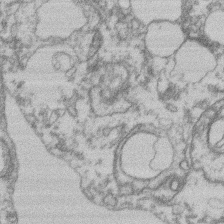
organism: Mouse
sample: T cell stromal cell synapse